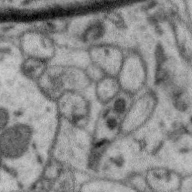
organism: Zebra finch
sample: Brain